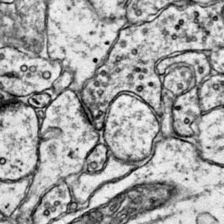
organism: Mouse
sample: Primary visual cortex